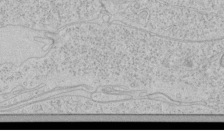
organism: Human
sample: Mitochondria in HCT116 cells